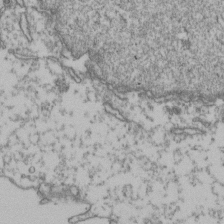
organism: Human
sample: Activated Jurkat CD4+ T cells